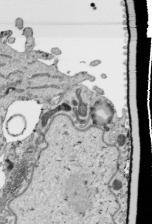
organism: Human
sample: Mitochondria in HCT116 cells